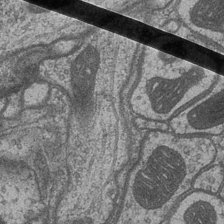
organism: Drosophila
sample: Optic medulla